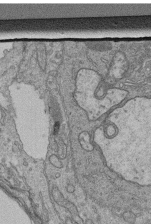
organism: Human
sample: Retinal organoid Rod and Cone cells